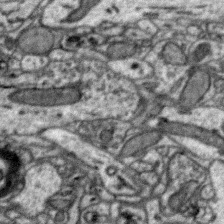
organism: Zebra finch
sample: Brain